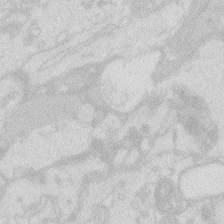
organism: Zebrafish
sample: Macrophage